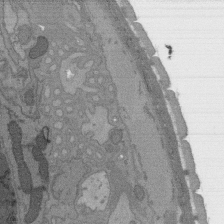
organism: C. elegans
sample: AFD neurons C. elegans